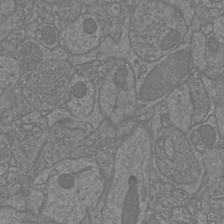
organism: Mouse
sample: Cortical neurons